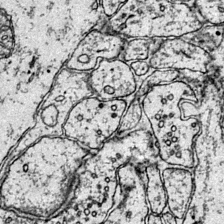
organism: Mouse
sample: Primary visual cortex